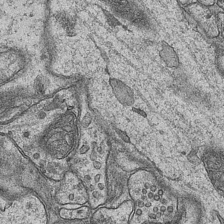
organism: Mouse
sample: CA1 Hippocampus